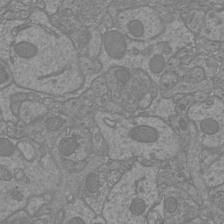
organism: Mouse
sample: Cortical neurons